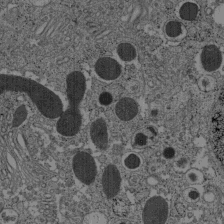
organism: C57BL Mouse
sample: Pancreatic islet